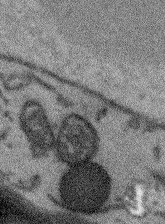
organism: Arabidopsis thaliana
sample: Root tip